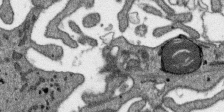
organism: Human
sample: Lung epithelial cells, uninfected (mock) control